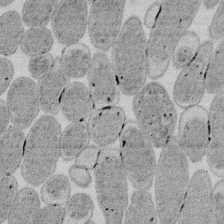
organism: E. coli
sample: Bacterial nucleoid